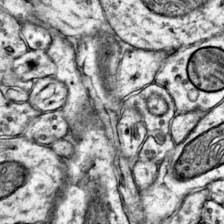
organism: Mouse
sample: Primary visual cortex